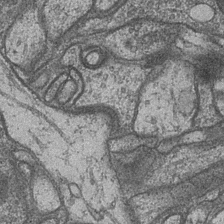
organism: Drosophila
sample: Optic medulla